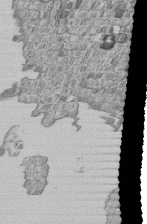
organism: Human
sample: MDA-MB-231 cells